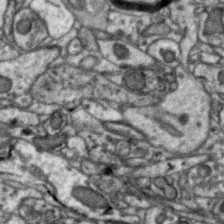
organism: Zebra finch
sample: Brain